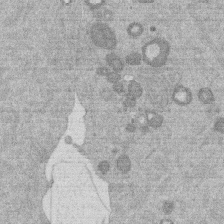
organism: Mouse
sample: Dividing mouse embryo 1 cell stage